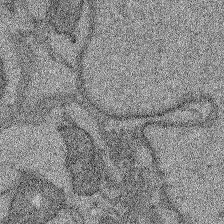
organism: Human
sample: HeLa cells